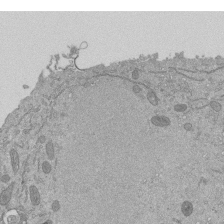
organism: Mouse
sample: ED-1 cell nuclei; centrioles